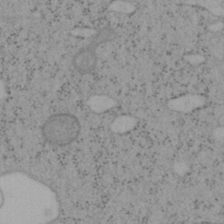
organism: Mouse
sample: OT-I killer T cells with ID8 ovarian cancer cells